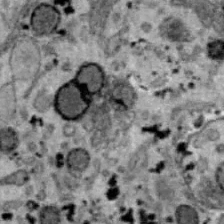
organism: Mouse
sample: Liver from an obese (ob/ob) mouse